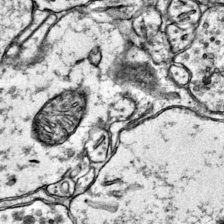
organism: Mouse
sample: Primary visual cortex